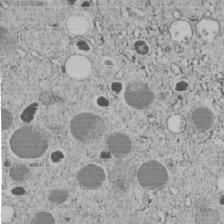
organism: C. elegans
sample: C. elegans embryo early stage